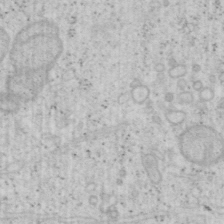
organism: Human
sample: HeLa cells